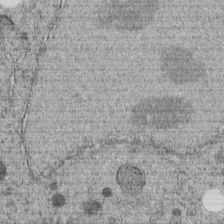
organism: C. elegans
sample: C. elegans embryo early stage